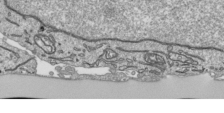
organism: Human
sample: Mitochondria in HCT116 cells